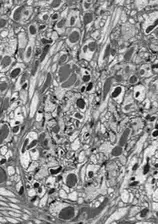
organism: Drosophila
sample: Optic lobe